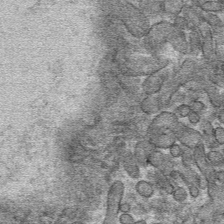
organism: Mouse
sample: Mouse hepatocytes